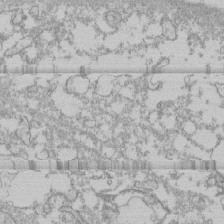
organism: Human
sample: CRL-1474